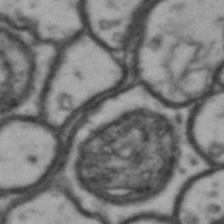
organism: Drosophila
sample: Brain